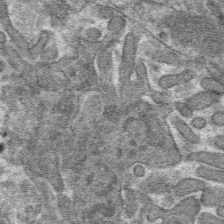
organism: Mouse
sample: Mouse hepatocytes